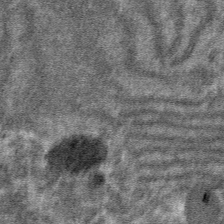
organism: Mouse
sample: Mouse hepatocytes